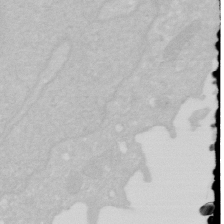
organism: Human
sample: HIV infected U937 cells